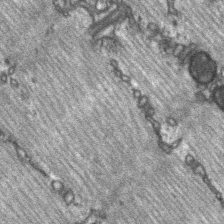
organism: C57BL Mouse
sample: Soleus